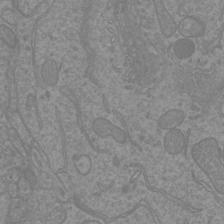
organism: Mouse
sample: Cortical neurons